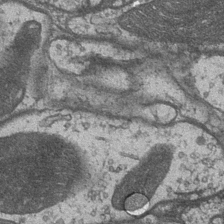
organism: Drosophila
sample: Optic medulla